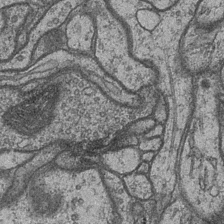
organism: Drosophila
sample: Optic medulla